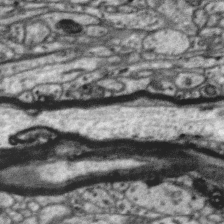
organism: Zebra finch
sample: Brain